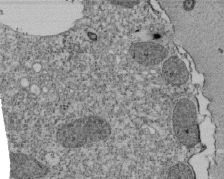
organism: Tetrahymena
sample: Cilia in tetrahymena